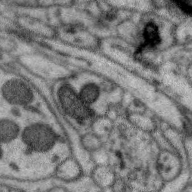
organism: Zebra finch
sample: Brain